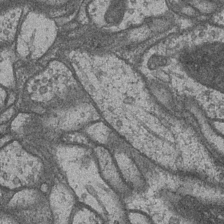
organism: Drosophila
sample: Optic medulla